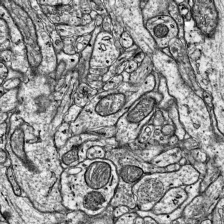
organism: Mouse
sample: Visual Cortex